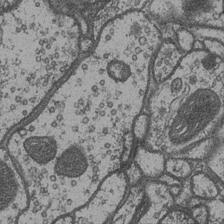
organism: Drosophila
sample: Optic medulla